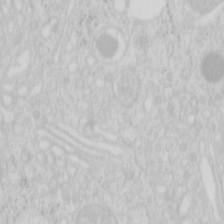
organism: Mouse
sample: Pancreas